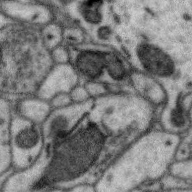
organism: Zebra finch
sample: Brain